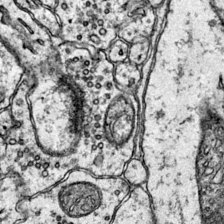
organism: Mouse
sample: Primary visual cortex